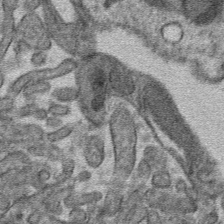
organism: Mouse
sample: Mouse hepatocytes